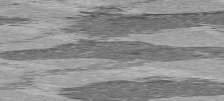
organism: C57BL Mouse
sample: Heart